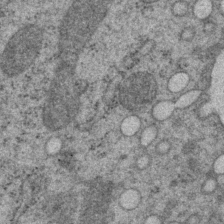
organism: P. pacificus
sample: Pharynx